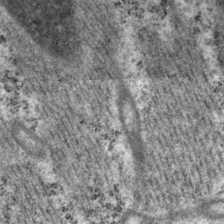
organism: P. pacificus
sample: Pharynx